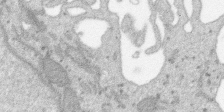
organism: Human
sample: Lung epithelial cells infected with SARS-CoV-2